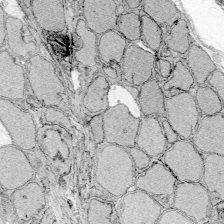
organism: Zebrafish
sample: Whole-Brain